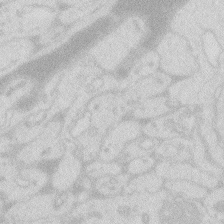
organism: Zebrafish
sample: Macrophage